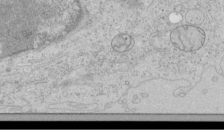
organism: Human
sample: Mitochondria in HCT116 cells